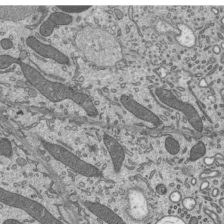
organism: Mouse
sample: Mouse epididymis efferent ductule cilia